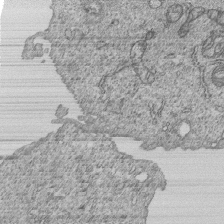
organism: Human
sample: MDA-MB-231 cells